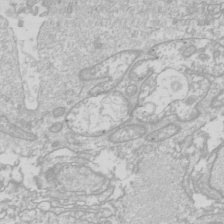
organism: Drosophila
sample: Cell division; meiosis; drosophila spermatocytes